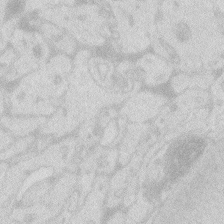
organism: Zebrafish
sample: Macrophage